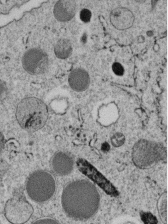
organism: C. elegans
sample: C. elegans embryo early stage